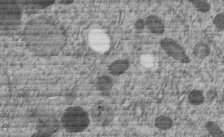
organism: C. elegans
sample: C. elegans embryo early stage